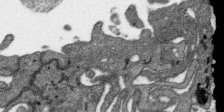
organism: Human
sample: Lung epithelial cells, uninfected (mock) control